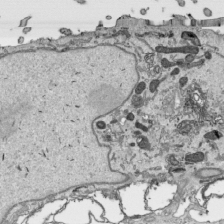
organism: Human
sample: Mitochondria in HCT116 cells